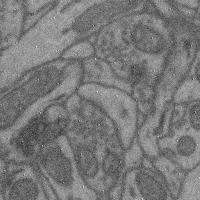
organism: Mouse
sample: Cerebral cortex